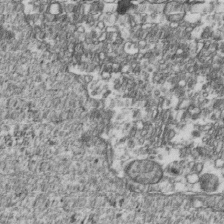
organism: Human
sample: Activated Jurkat CD4+ T cells